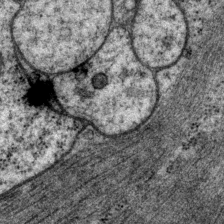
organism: P. pacificus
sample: Pharynx